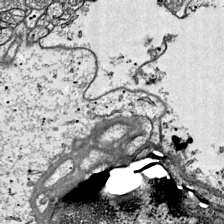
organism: Mouse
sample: Visual Cortex